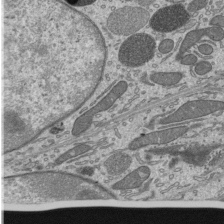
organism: Mouse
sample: Mouse epididymis efferent ductule cilia